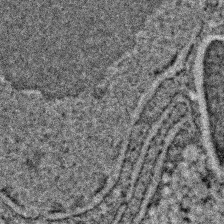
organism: C. elegans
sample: C. elegans embryo